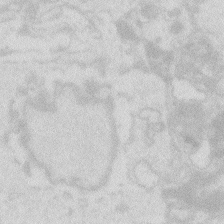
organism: Zebrafish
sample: Macrophage